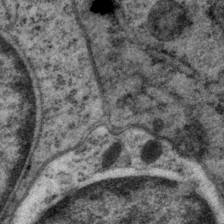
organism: P. pacificus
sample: Pharynx